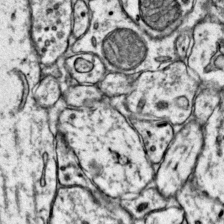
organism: Mouse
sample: Primary visual cortex